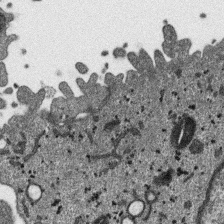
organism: Human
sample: Lung epithelial cells infected with SARS-CoV-2